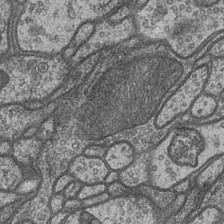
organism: Drosophila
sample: Optic medulla